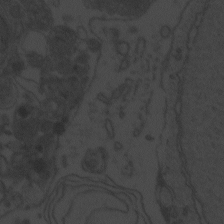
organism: Zebrafish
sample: Macrophage infected with Toxoplasma gondii